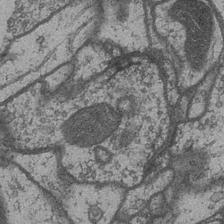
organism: Drosophila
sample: Optic medulla